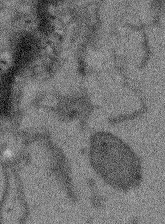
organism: Arabidopsis thaliana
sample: Root tip